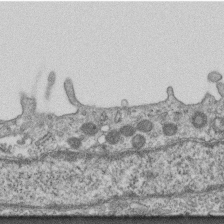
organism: Mouse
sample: Centriole in ependymal cells